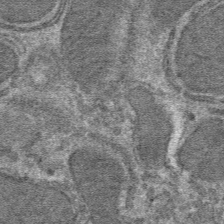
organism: Mouse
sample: Mouse hepatocytes